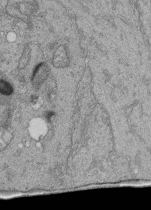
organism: Human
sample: Retinal organoid Rod and Cone cells